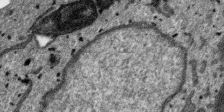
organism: Human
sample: Lung epithelial cells, uninfected (mock) control